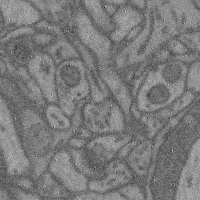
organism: Mouse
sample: Cerebral cortex